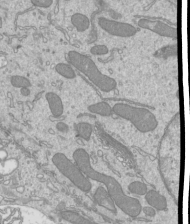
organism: Mouse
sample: Cilia; mouse epididymis